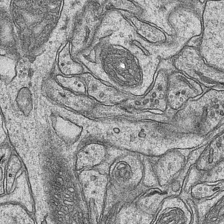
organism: Mouse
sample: CA1 Hippocampus